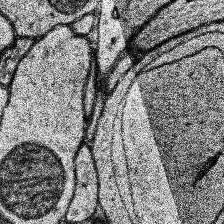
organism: Human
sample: Temporal Lobe